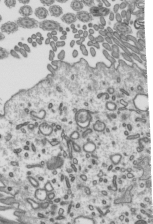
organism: Mouse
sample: Mouse epididymis efferent ductule cilia